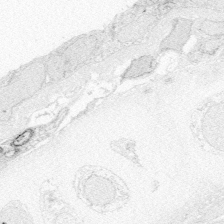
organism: Zebrafish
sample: Whole-Brain